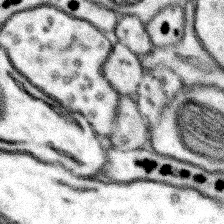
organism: Mouse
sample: Somatosensory cortex neuropil